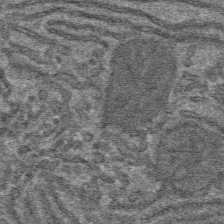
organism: Mouse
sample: Mouse hepatocytes